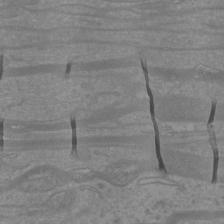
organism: Mouse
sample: Cortical neurons